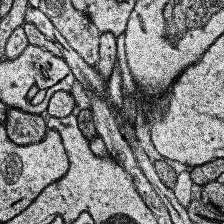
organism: Human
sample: Temporal Lobe